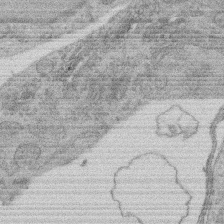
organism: Rat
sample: Salivary granule